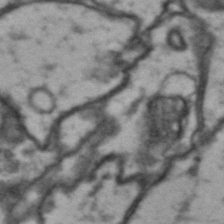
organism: Drosophila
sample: Brain